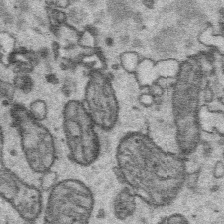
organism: Platynereis dumerilii